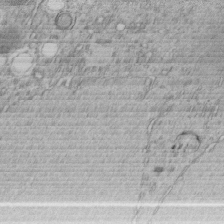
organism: C. elegans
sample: C. elegans embryo early stage